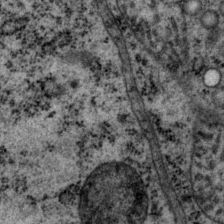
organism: P. pacificus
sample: Pharynx